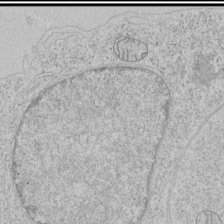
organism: Human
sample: Mitochondria in HCT116 cells